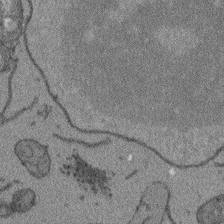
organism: Arabidopsis thaliana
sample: Root tip